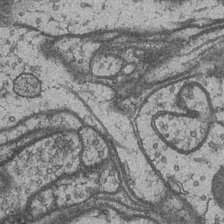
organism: Drosophila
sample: Optic medulla